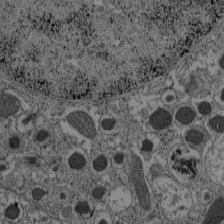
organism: C57BL Mouse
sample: Pancreatic islet